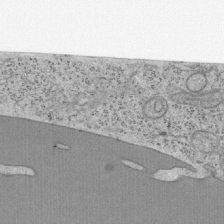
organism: Human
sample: HeLa cells